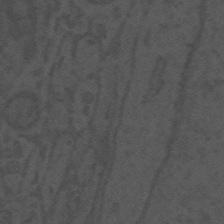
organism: Mouse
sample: Suprachiasmatic nucleus